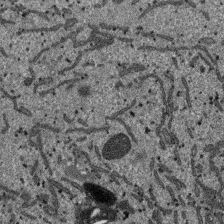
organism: Human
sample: Lung epithelial cells infected with SARS-CoV-2